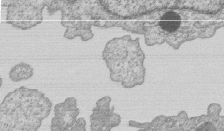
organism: Human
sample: MDA-MB-231 cells